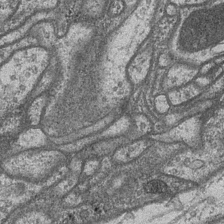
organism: Drosophila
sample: Optic medulla